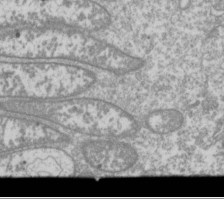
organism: Drosophila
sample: Cell division; meiosis; drosophila spermatocytes